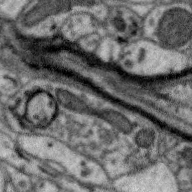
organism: Zebra finch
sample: Brain